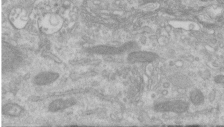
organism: Human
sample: Centriole in RPE cells